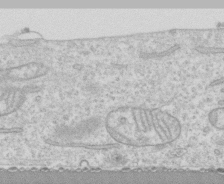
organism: Human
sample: CRL-1474